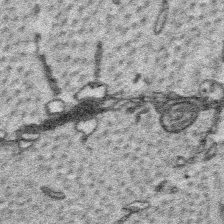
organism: Platynereis dumerilii